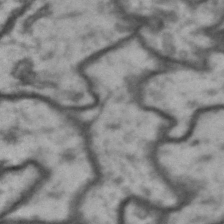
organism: Drosophila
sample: Brain